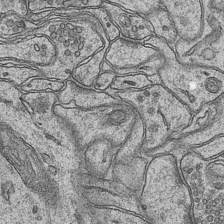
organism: Mouse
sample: CA1 Hippocampus